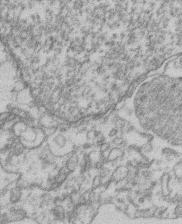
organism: Mouse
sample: T cell stromal cell synapse